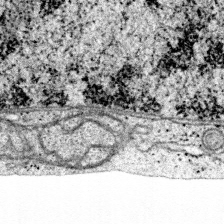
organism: Human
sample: HeLa cells